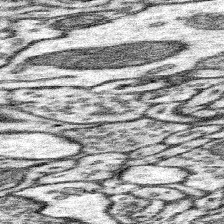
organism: Mouse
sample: Somatosensory cortex neuropil